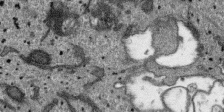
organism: Human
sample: Lung epithelial cells, uninfected (mock) control